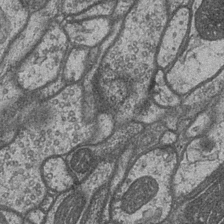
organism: Drosophila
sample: Optic medulla